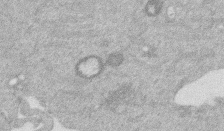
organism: Mouse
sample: Dividing mouse embryo 1 cell stage